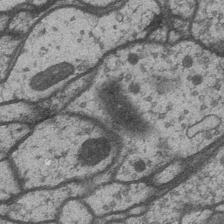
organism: Drosophila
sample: Optic medulla